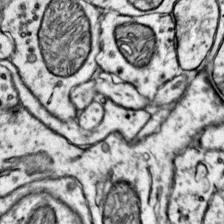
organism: Mouse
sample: Primary visual cortex